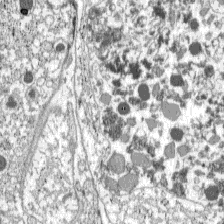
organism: C57BL Mouse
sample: Pancreatic islet